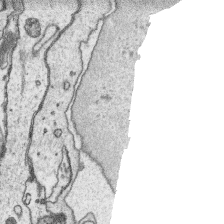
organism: Platynereis dumerilii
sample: Parapodia